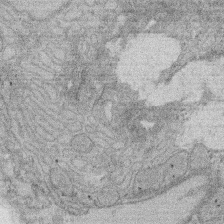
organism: Rat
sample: Salivary granule